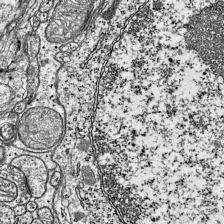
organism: Mouse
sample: Visual Cortex